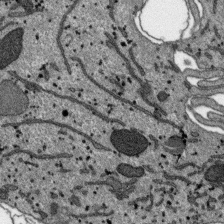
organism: Human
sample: Lung epithelial cells, uninfected (mock) control